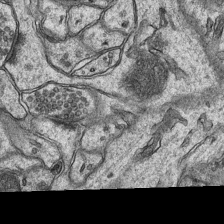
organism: Mouse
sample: CA1 Hippocampus